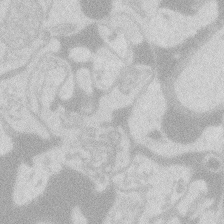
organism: Zebrafish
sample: Macrophage